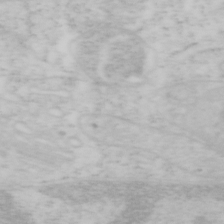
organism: Mouse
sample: OT-I killer T cells with ID8 ovarian cancer cells